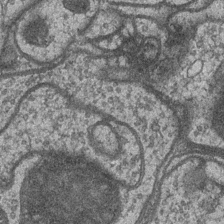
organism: Drosophila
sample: Optic medulla